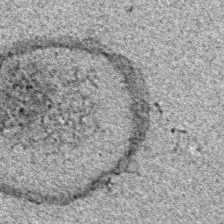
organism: E. coli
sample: E. Coli Bacteria